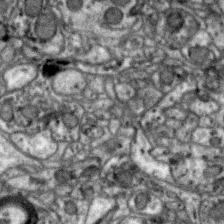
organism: Zebra finch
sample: Brain